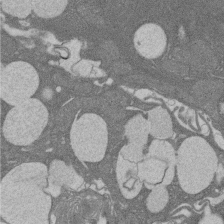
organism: Rat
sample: Salivary granule